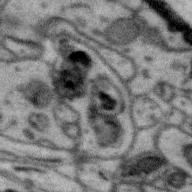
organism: Zebra finch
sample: Brain